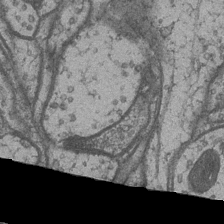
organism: Drosophila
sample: Optic medulla